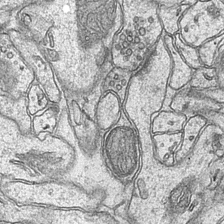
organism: Mouse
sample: CA1 Hippocampus